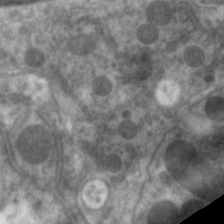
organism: C. elegans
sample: Pharynx